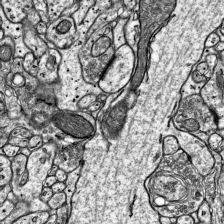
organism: Mouse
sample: Visual Cortex